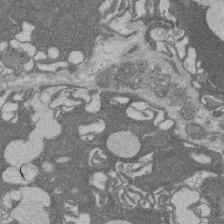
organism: Rat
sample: Salivary granule